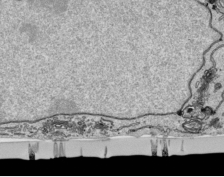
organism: Human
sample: Mitochondria in HCT116 cells